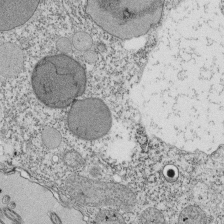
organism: Tetrahymena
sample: Cilia in tetrahymena